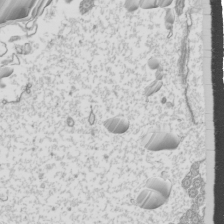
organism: Mouse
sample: Cilia; mouse epididymis